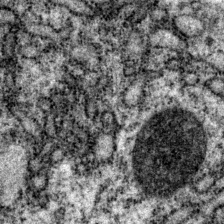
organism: P. pacificus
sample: Pharynx